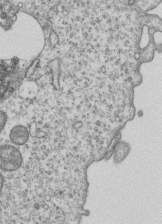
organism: Human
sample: MDA-MB-231 cells